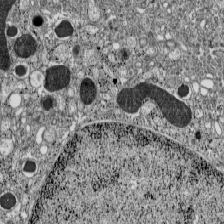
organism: C57BL Mouse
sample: Pancreatic islet